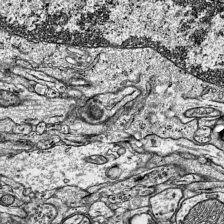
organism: Mouse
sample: Visual Cortex